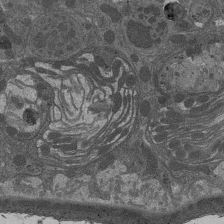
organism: Drosophila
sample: Antenna